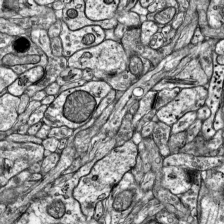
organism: Mouse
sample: Visual Cortex